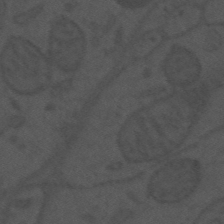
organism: Mouse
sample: Suprachiasmatic nucleus